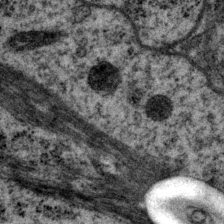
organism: P. pacificus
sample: Pharynx